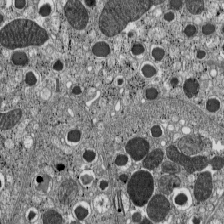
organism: C57BL Mouse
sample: Pancreatic islet